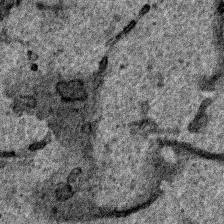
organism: Human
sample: Mitochondria in HCT116 cells